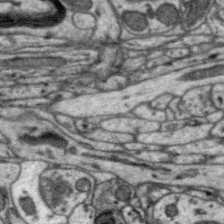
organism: Zebra finch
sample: Brain